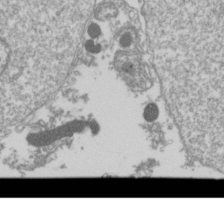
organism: Drosophila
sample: Cell division; meiosis; drosophila spermatocytes